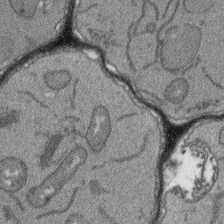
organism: Arabidopsis thaliana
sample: Root tip